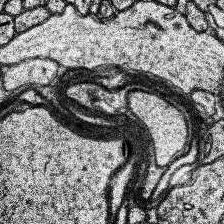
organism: Human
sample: Temporal Lobe